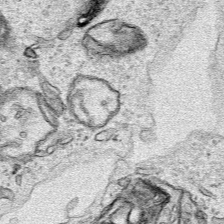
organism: Human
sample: Mitochondria in HCT116 cells